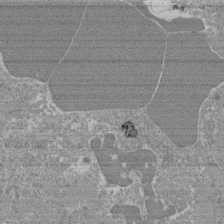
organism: Mouse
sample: Glomerulus